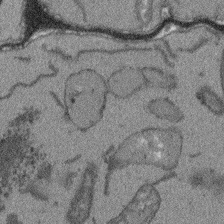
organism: Arabidopsis thaliana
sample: Root tip